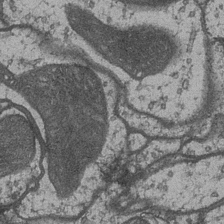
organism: Drosophila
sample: Optic medulla